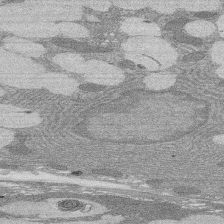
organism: Rat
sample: Salivary granule